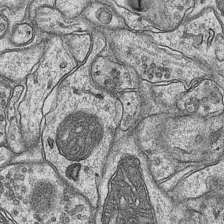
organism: Mouse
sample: CA1 Hippocampus